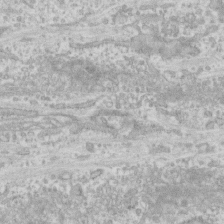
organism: Human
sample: CRL-1474